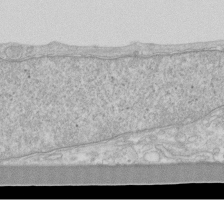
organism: Human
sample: Fibroblast cells